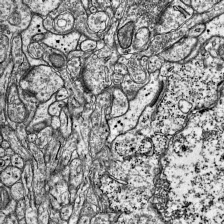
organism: Mouse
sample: Visual Cortex